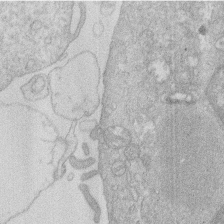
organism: Human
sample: Macrophage cells